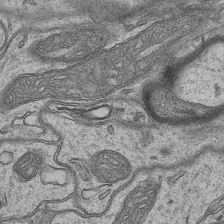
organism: Mouse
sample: CA1 Hippocampus